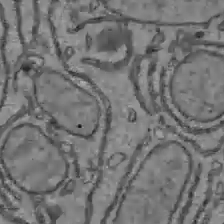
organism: C57BL Mouse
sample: Liver